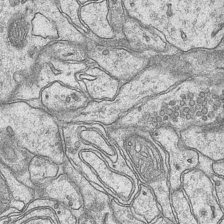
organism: Mouse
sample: CA1 Hippocampus